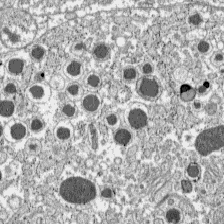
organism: C57BL Mouse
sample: Pancreatic islet